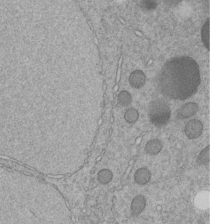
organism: C. elegans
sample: C. elegans embryo early stage